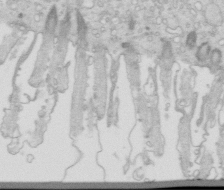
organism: Mouse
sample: Multiciliated cells